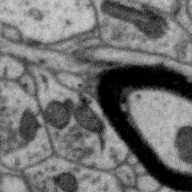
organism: Zebra finch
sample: Brain